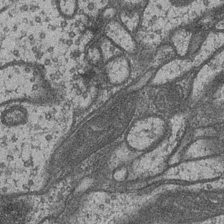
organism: Drosophila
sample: Optic medulla